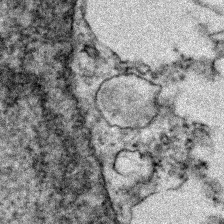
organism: Zebrafish